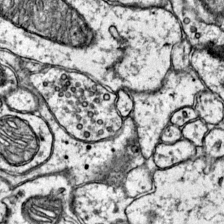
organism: Mouse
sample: Primary visual cortex